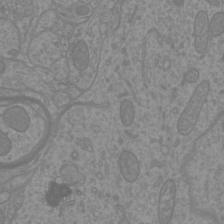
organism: Mouse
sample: Cortical neurons